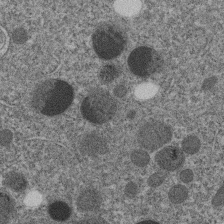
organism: C. elegans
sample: C. elegans embryo early stage